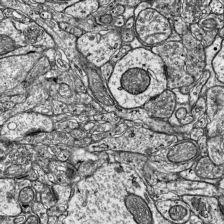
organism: Mouse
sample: Visual Cortex